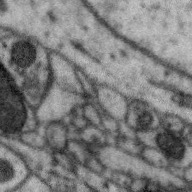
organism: Zebra finch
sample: Brain